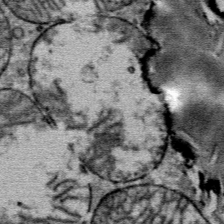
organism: Mouse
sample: Mouse Salivary gland